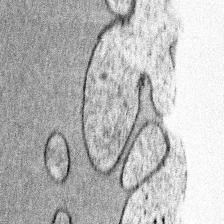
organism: Human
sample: HeLa cells